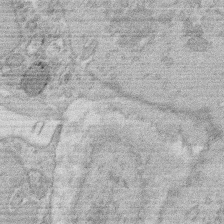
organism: Rat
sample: Salivary granule